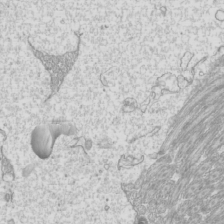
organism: Mouse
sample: Cilia; mouse epididymis